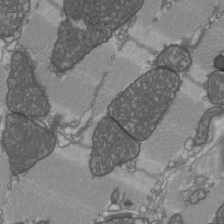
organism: C57BL Mouse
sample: Heart